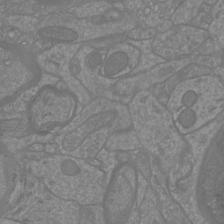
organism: Mouse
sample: Cortical neurons